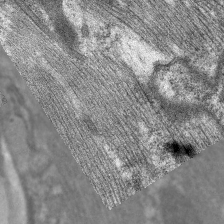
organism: C. elegans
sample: Pharynx